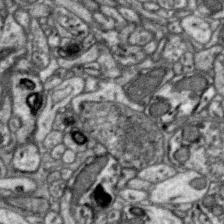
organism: Zebra finch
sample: Brain